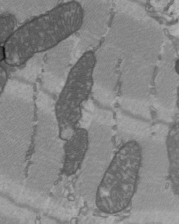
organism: C57BL Mouse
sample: Heart